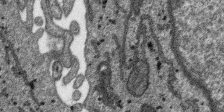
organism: Human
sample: Lung epithelial cells infected with SARS-CoV-2